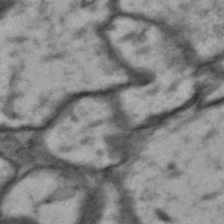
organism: Drosophila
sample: Brain